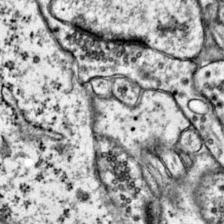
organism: Mouse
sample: Primary visual cortex